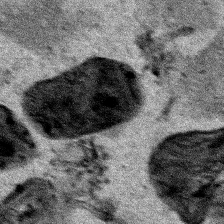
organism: Human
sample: Mitochondria in HCT116 cells